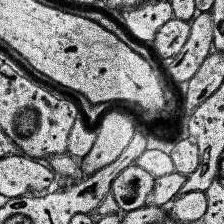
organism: Human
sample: Temporal Lobe